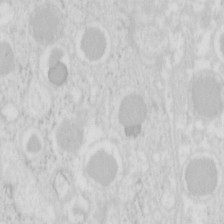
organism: Mouse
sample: Pancreas